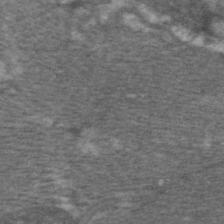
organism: C. elegans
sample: Pharynx